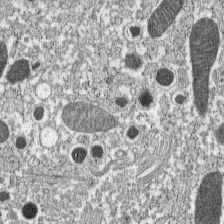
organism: C57BL Mouse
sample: Pancreatic islet